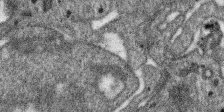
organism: Human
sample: Lung epithelial cells infected with SARS-CoV-2